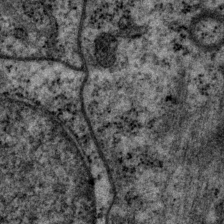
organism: P. pacificus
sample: Pharynx